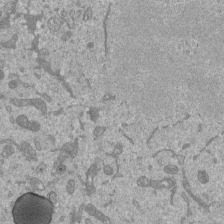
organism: Mouse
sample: ED-1 cell nuclei; centrioles